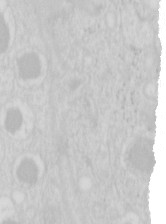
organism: Mouse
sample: Pancreas